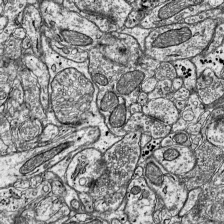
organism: Mouse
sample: Visual Cortex